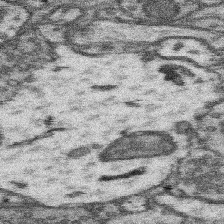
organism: Mouse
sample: Somatosensory cortex neuropil